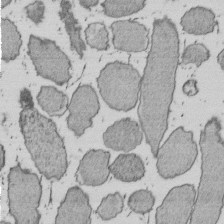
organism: E. coli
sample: Bacterial nucleoid